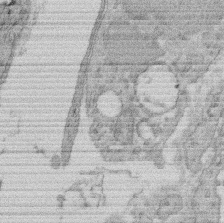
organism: Rat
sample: Salivary granule